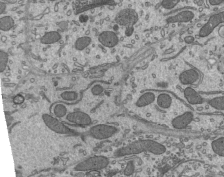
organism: Mouse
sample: Mouse epididymis efferent ductule cilia